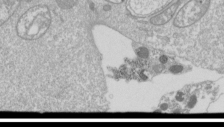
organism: Drosophila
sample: Cell division; meiosis; drosophila spermatocytes